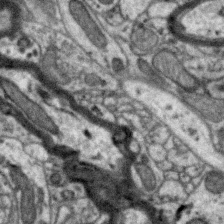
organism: Zebra finch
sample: Brain